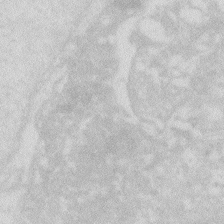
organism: Zebrafish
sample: Macrophage